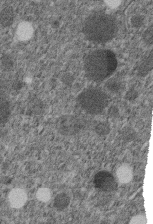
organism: C. elegans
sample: C. elegans embryo early stage